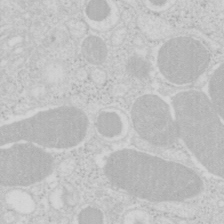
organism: Mouse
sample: Pancreas